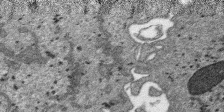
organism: Human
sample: Lung epithelial cells infected with SARS-CoV-2